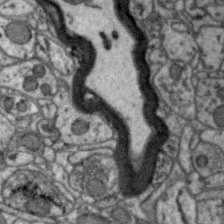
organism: Zebra finch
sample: Brain